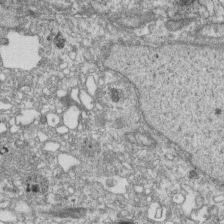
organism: Human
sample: HeLa cell HIV synapse